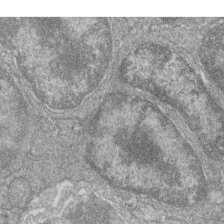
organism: Zebrafish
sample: Cilia; retinal pigment epithelium